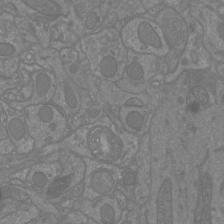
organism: Mouse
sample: Cortical neurons